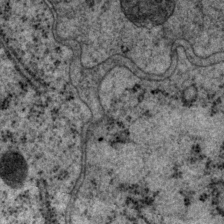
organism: P. pacificus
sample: Pharynx